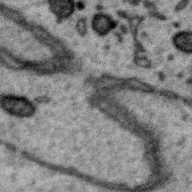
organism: Zebra finch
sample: Brain